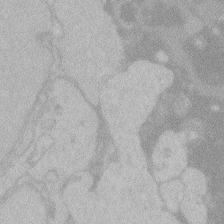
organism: Zebrafish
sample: Macrophage infected with Toxoplasma gondii